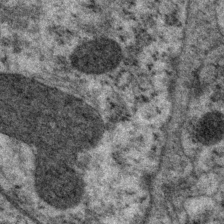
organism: P. pacificus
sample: Pharynx